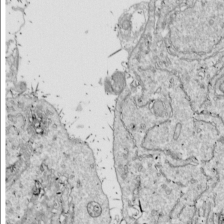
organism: Drosophila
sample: Cell division; meiosis; drosophila spermatocytes